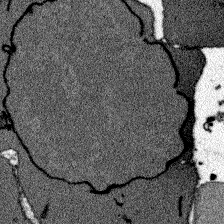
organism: Zebrafish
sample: Larval olfactory bulb